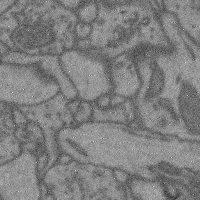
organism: Mouse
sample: Cerebral cortex